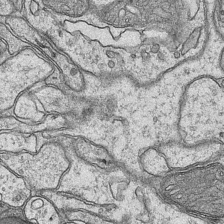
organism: Mouse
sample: CA1 Hippocampus